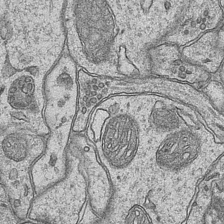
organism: Mouse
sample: CA1 Hippocampus